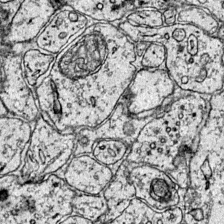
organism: Mouse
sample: Primary visual cortex